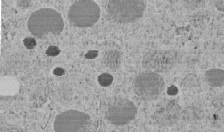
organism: C. elegans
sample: C. elegans embryo early stage